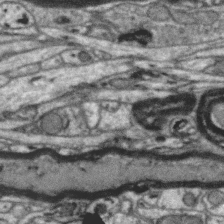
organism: Zebra finch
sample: Brain